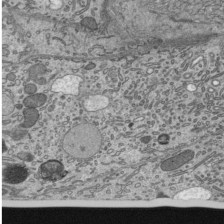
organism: Mouse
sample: Mouse epididymis efferent ductule cilia